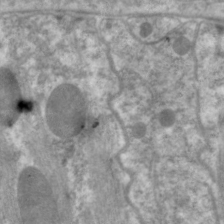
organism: C. elegans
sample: Pharynx